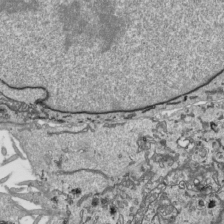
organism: Human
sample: Mitochondria in HCT116 cells